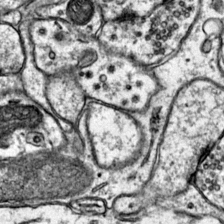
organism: Mouse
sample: Primary visual cortex